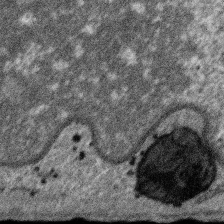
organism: Human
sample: Lung epithelial cells infected with SARS-CoV-2